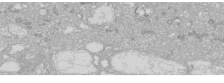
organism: Human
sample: Caco-2 cells